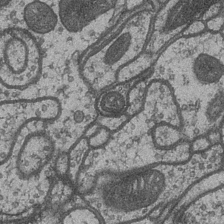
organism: Drosophila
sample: Optic medulla